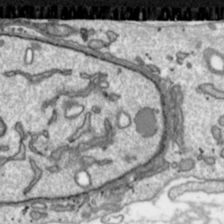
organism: Toxoplasma gondii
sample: Parasites in a vacuole inside a host cell